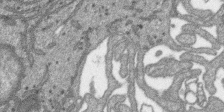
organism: Human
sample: Lung epithelial cells infected with SARS-CoV-2